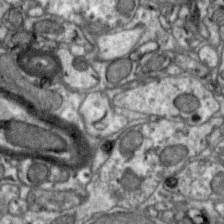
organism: Zebra finch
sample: Brain